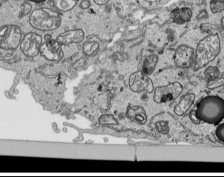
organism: Human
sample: Mitochondria in HCT116 cells